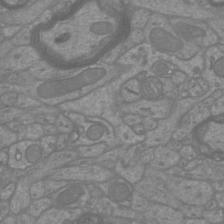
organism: Mouse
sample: Cortical neurons